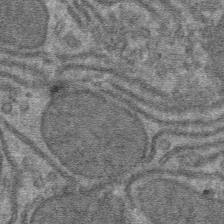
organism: Mouse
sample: Mouse hepatocytes